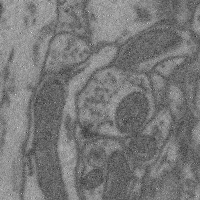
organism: Mouse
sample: Cerebral cortex